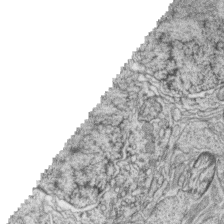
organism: Zebrafish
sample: synaptic ribbons in rod cells and cone cells